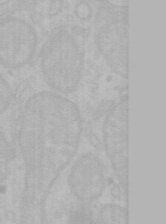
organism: Mouse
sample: Choroid plexus